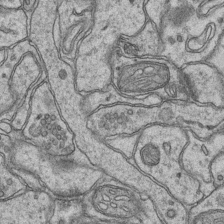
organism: Mouse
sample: CA1 Hippocampus